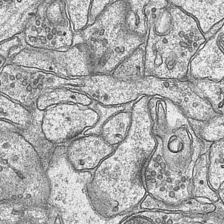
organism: Mouse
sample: CA1 Hippocampus